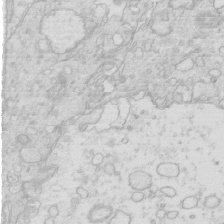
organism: Mouse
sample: Multiciliated cells